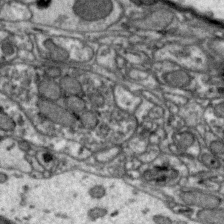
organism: Zebra finch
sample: Brain